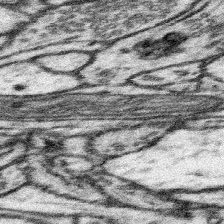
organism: Mouse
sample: Somatosensory cortex neuropil